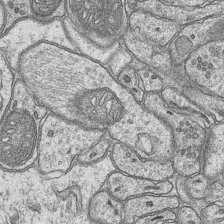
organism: Mouse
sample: CA1 Hippocampus